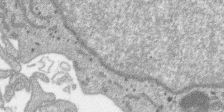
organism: Human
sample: Lung epithelial cells infected with SARS-CoV-2